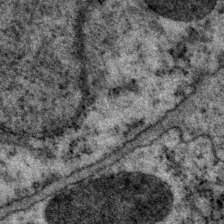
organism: P. pacificus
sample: Pharynx